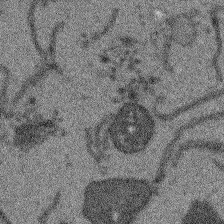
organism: Arabidopsis thaliana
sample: Root tip